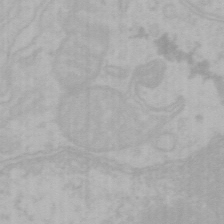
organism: Mouse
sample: Choroid plexus